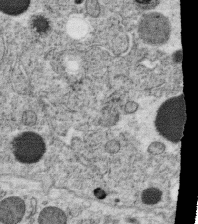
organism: C. elegans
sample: C. elegans oocyte; sperm cells